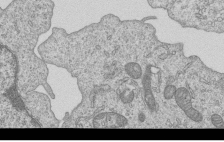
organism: Human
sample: MDA-MB-231 cells